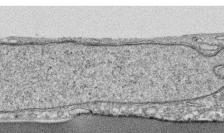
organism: Human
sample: CRL-1474